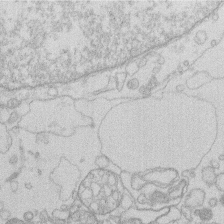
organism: Human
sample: Macrophage cells